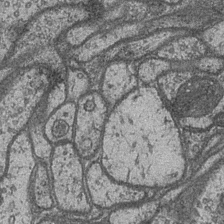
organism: Drosophila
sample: Optic medulla